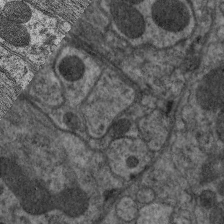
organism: C. elegans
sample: Pharynx